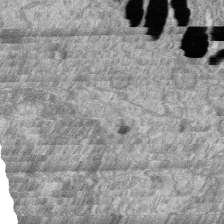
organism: Zebrafish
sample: Cilia; retinal pigment epithelium